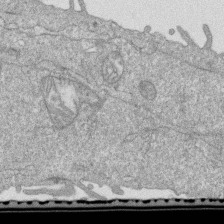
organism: Human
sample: HeLa cell HIV synapse